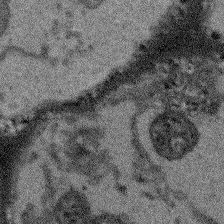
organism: Arabidopsis thaliana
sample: Root tip